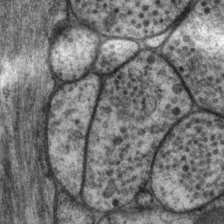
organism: P. pacificus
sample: Pharynx